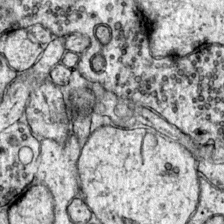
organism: Mouse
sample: Primary visual cortex